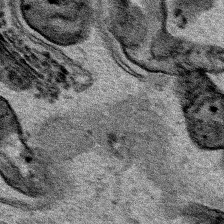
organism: Human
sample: Mitochondria in HCT116 cells